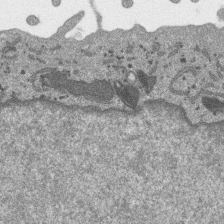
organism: Human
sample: Lung epithelial cells infected with SARS-CoV-2